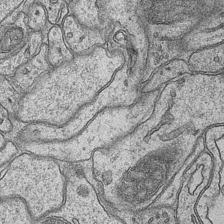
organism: Mouse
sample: CA1 Hippocampus